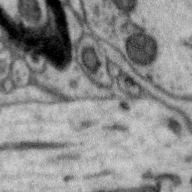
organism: Zebra finch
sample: Brain